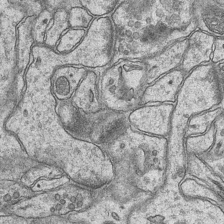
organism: Mouse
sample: CA1 Hippocampus